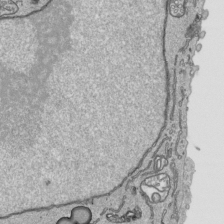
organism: Human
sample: Mitochondria in HCT116 cells